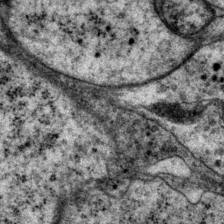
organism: P. pacificus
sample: Pharynx